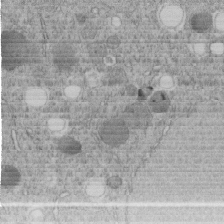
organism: C. elegans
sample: C. elegans embryo early stage